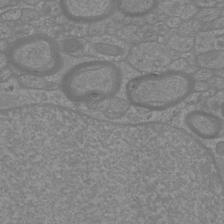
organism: Mouse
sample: Cortical neurons